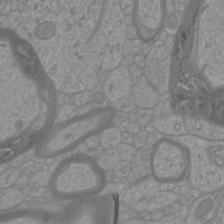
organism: Mouse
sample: Cortical neurons